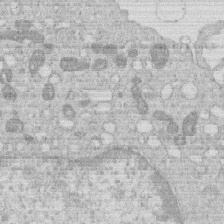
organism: Human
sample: Macrophage cells